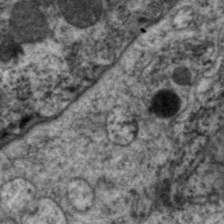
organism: C. elegans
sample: Pharynx